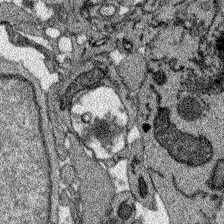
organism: Zebrafish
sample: Larval olfactory bulb